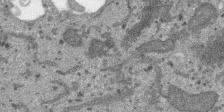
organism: Human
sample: Lung epithelial cells infected with SARS-CoV-2